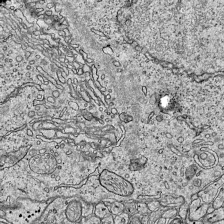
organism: Mouse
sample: Visual Cortex